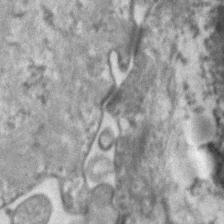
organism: Human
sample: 1205lu cells